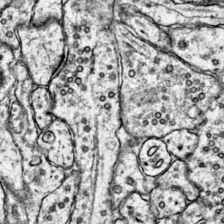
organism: Mouse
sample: Primary visual cortex